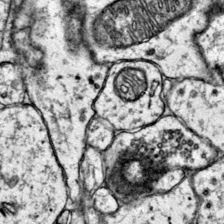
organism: Mouse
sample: Primary visual cortex